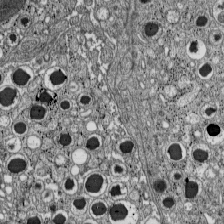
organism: C57BL Mouse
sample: Pancreatic islet